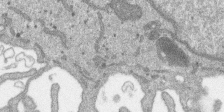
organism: Human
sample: Lung epithelial cells infected with SARS-CoV-2